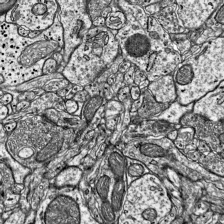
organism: Mouse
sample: Visual Cortex